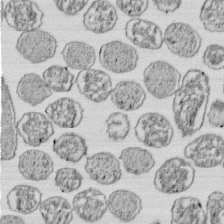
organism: E. coli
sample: Bacterial nucleoid